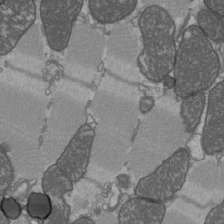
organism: C57BL Mouse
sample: Heart